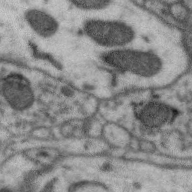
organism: Zebra finch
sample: Brain